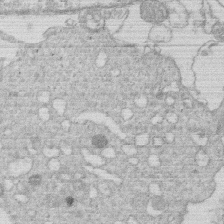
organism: Human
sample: Macrophage cells